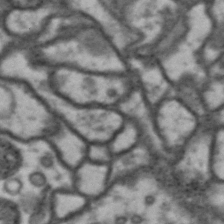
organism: Drosophila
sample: Brain